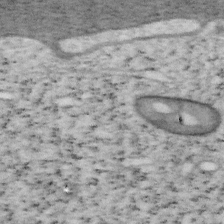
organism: Mouse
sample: OT-I killer T cells with ID8 ovarian cancer cells